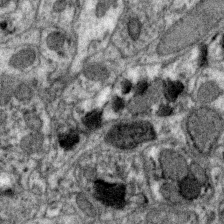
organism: Zebra finch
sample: Brain